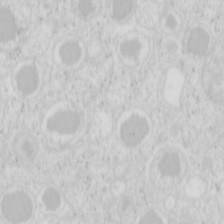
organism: Mouse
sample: Pancreas